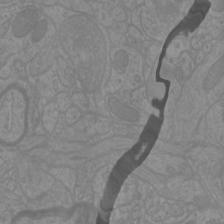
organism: Mouse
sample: Cortical neurons